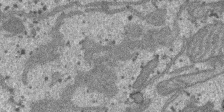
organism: Human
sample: Lung epithelial cells infected with SARS-CoV-2